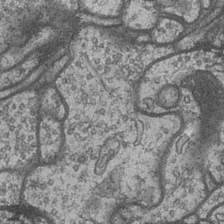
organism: Drosophila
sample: Optic medulla